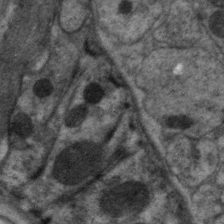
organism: C. elegans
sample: Pharynx